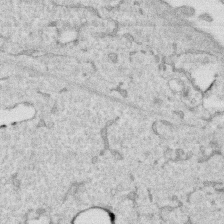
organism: Human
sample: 1205lu cells